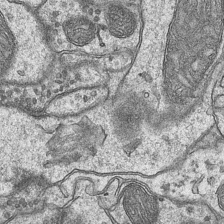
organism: Mouse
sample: CA1 Hippocampus